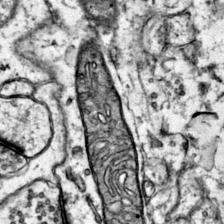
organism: Mouse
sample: Primary visual cortex